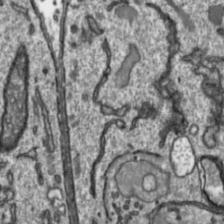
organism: Toxoplasma gondii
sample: Parasites in a vacuole inside a host cell